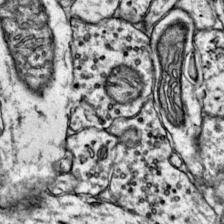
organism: Mouse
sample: Primary visual cortex